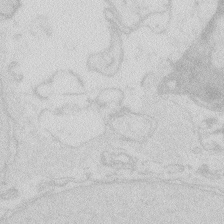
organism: Zebrafish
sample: Macrophage